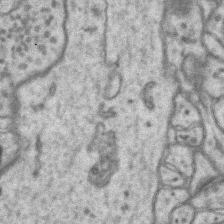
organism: Mouse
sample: CA1 Hippocampus